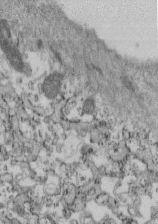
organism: Mouse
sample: Cilia; retinal pigment epithelium